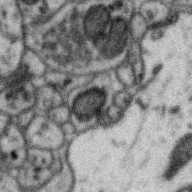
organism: Zebra finch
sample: Brain